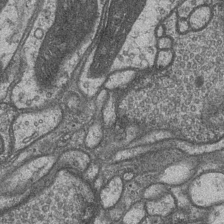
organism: Drosophila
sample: Optic medulla